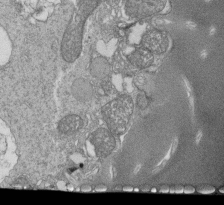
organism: Tetrahymena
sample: Cilia in tetrahymena